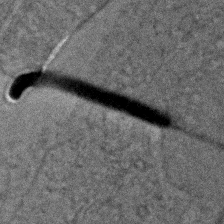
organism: Zebrafish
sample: Zebrafish embryo